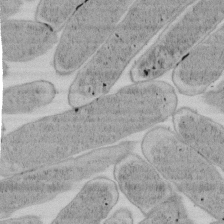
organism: E. coli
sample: Bacterial nucleoid